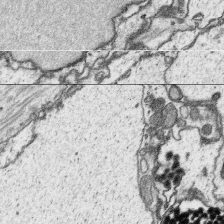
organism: Platynereis dumerilii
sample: Parapodia